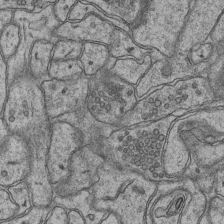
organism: Mouse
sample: CA1 Hippocampus